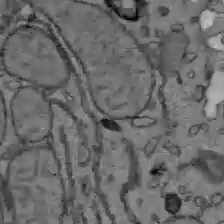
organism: C57BL Mouse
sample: Liver